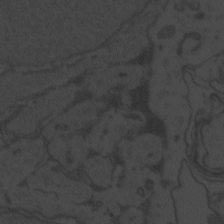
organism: Zebrafish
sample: Macrophage infected with Toxoplasma gondii